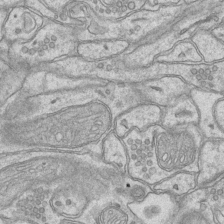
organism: Mouse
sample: CA1 Hippocampus